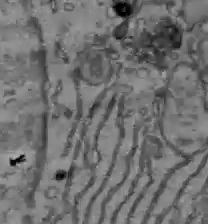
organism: C57BL Mouse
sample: Liver